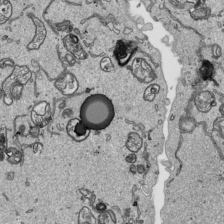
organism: Human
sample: Mitochondria in HCT116 cells